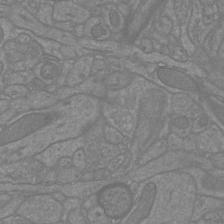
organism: Mouse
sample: Cortical neurons